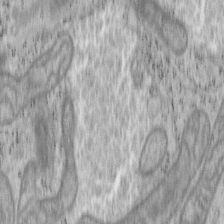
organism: Human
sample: HeLa cells